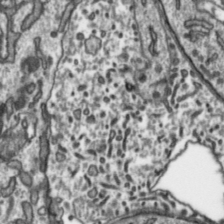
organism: Toxoplasma gondii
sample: Parasites in a vacuole inside a host cell